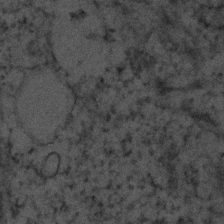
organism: Human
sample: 1205lu cells